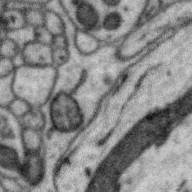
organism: Zebra finch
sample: Brain